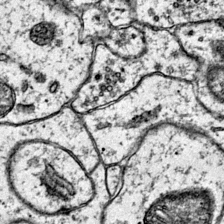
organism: Mouse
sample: Primary visual cortex